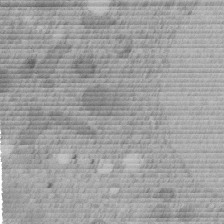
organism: C. elegans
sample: C. elegans embryo early stage